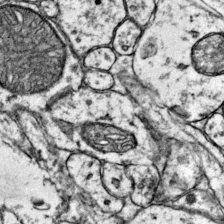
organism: Mouse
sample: Primary visual cortex